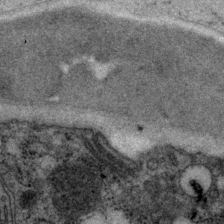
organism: P. pacificus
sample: Pharynx